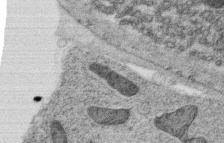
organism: C. elegans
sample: C. elegans oocyte; sperm cells